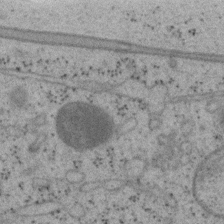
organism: Human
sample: HeLa cells